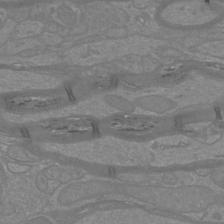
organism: Mouse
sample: Cortical neurons